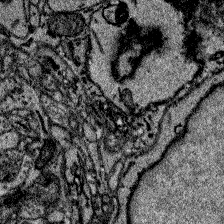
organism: Zebrafish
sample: Larval olfactory bulb